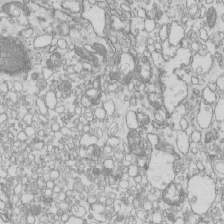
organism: Mouse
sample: Macrophages